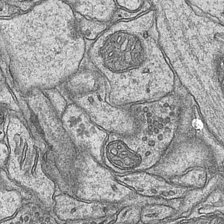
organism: Mouse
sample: CA1 Hippocampus